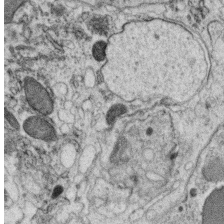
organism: C. elegans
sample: C. elegans oocyte; sperm cells